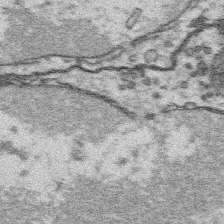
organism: Platynereis dumerilii